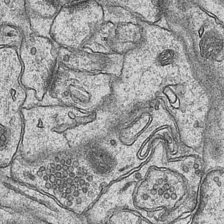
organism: Mouse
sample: CA1 Hippocampus